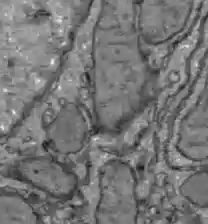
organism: C57BL Mouse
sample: Liver